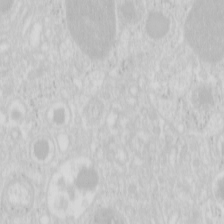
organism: Mouse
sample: Pancreas